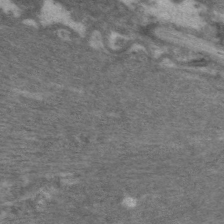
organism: C. elegans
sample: Pharynx